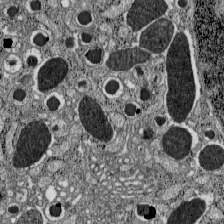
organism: C57BL Mouse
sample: Pancreatic islet